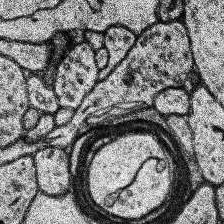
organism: Human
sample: Temporal Lobe